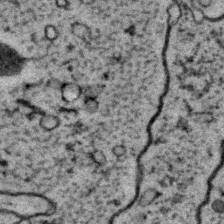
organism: C. elegans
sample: C. elegans embryo